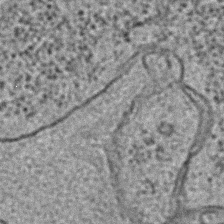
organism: C. elegans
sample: C. elegans embryo